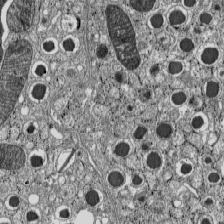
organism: C57BL Mouse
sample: Pancreatic islet